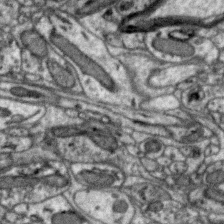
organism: Zebra finch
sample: Brain